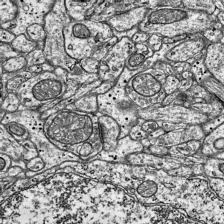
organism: Mouse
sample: Visual Cortex